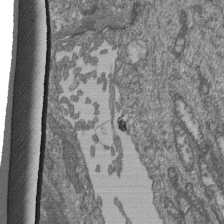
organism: Human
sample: Retinal organoid Rod and Cone cells